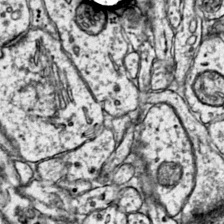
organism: Mouse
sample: Primary visual cortex